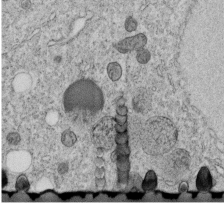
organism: C. elegans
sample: C. elegans embryo early stage